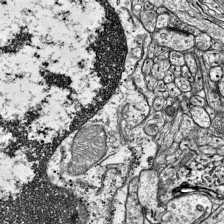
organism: Mouse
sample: Visual Cortex